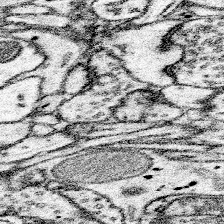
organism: Mouse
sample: Somatosensory cortex neuropil